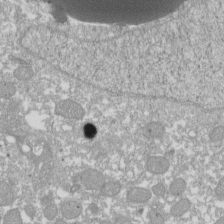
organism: Xenopus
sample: Cilia; centrioles in frog embryo cells